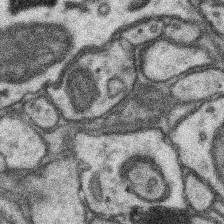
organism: Mouse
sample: Somatosensory cortex neuropil